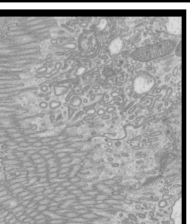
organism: Mouse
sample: Cilia; mouse epididymis